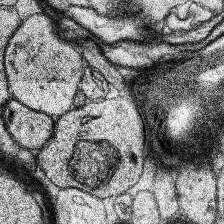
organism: Human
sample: Temporal Lobe